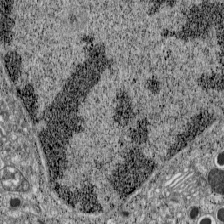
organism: C57BL Mouse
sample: Pancreatic islet